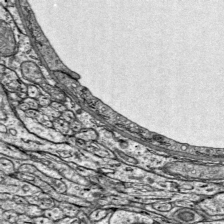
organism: Mouse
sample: Visual Cortex